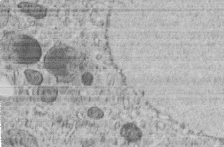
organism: C. elegans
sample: C. elegans embryo early stage